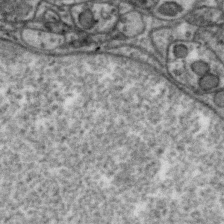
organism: Zebra finch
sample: Brain